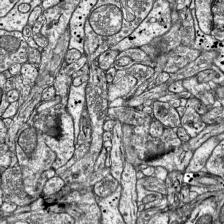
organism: Mouse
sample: Visual Cortex